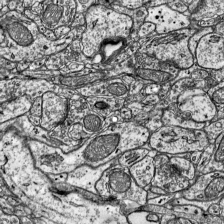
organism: Mouse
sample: Visual Cortex